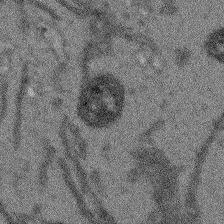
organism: Arabidopsis thaliana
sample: Root tip